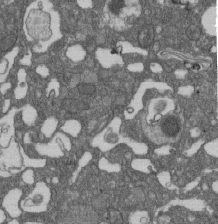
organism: Drosophila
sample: Nephrocyte